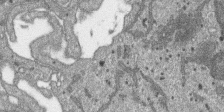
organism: Human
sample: Lung epithelial cells infected with SARS-CoV-2